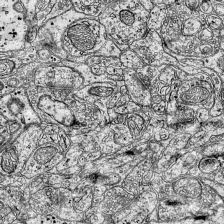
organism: Mouse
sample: Visual Cortex